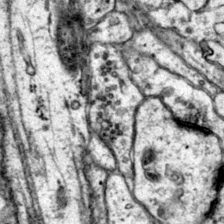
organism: Mouse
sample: Primary visual cortex